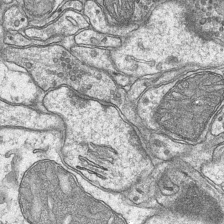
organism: Mouse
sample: CA1 Hippocampus